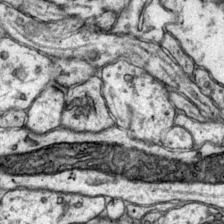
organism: Mouse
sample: Primary visual cortex